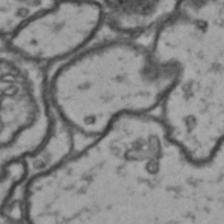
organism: Drosophila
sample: Brain